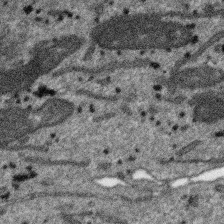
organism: Human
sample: Lung epithelial cells infected with SARS-CoV-2